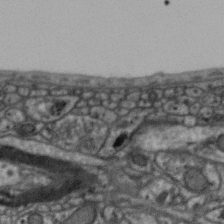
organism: Zebra finch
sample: Brain